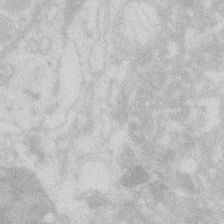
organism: Zebrafish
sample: Macrophage